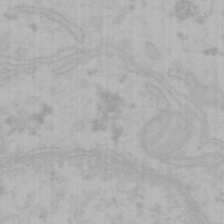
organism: Mouse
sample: Choroid plexus